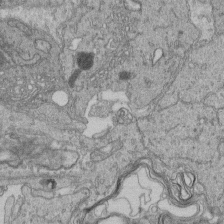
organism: Human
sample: Retinal organoid Rod and Cone cells